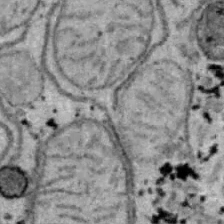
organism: Mouse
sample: Liver from an obese (ob/ob) mouse